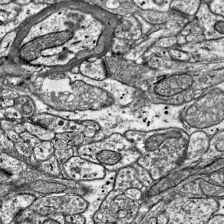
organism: Mouse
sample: Visual Cortex